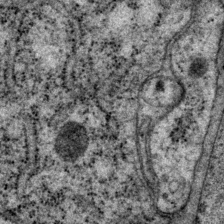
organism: P. pacificus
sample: Pharynx